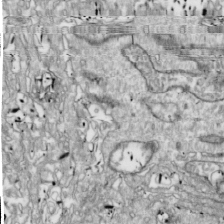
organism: Drosophila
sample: Cell division; meiosis; drosophila spermatocytes